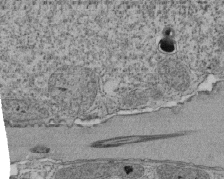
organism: Tetrahymena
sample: Cilia in tetrahymena